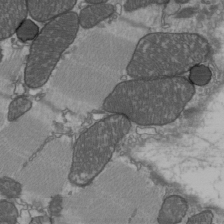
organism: C57BL Mouse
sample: Heart